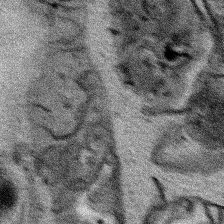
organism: Human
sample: Mitochondria in HCT116 cells